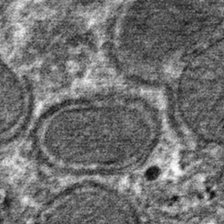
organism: Mouse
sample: Mouse hepatocytes